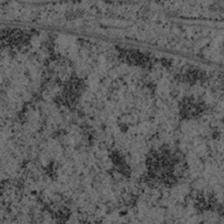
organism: Human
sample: HeLa cells